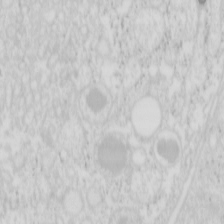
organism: Mouse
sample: Pancreas